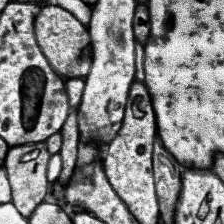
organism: Human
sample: Temporal Lobe